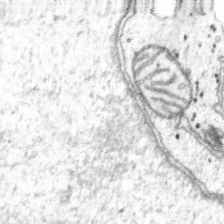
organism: Human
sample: HeLa cells